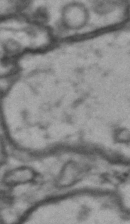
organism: Drosophila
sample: Brain